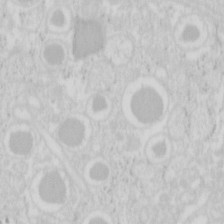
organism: Mouse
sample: Pancreas